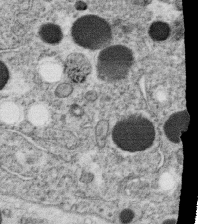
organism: C. elegans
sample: C. elegans oocyte; sperm cells